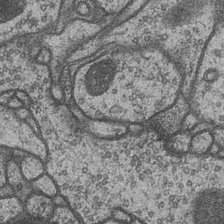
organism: Drosophila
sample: Optic medulla